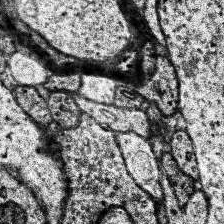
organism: Human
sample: Temporal Lobe